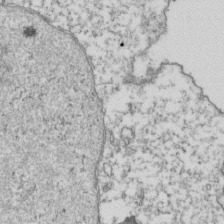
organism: Human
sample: Activated Jurkat CD4+ T cells